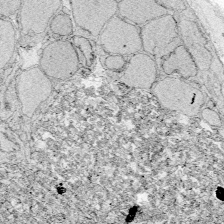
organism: Zebrafish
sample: Whole-Brain